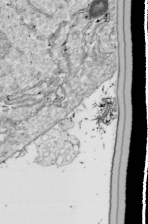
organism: Drosophila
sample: Cell division; meiosis; drosophila spermatocytes